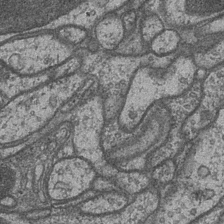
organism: Drosophila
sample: Optic medulla